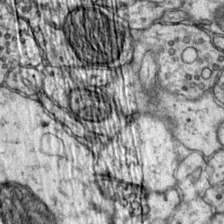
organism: Mouse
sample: Primary visual cortex